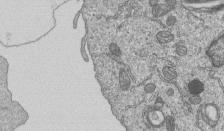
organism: Human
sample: MDA-MB-231 cells